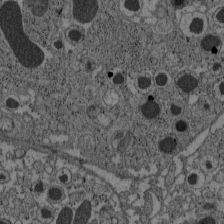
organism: C57BL Mouse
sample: Pancreatic islet